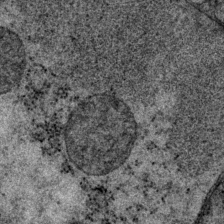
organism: P. pacificus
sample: Pharynx